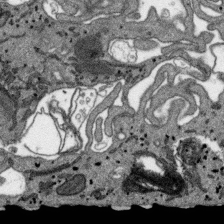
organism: Human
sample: Lung epithelial cells, uninfected (mock) control